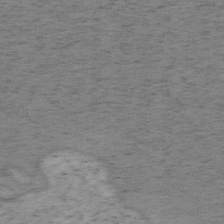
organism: Mouse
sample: OT-I killer T cells with ID8 ovarian cancer cells